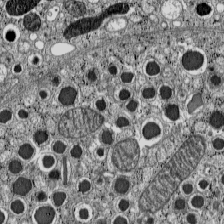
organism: C57BL Mouse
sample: Pancreatic islet